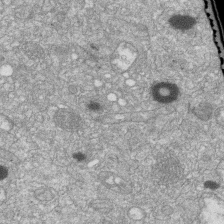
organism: Human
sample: HeLa cell HIV synapse